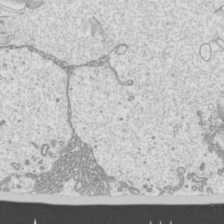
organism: Mouse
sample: Cilia; mouse epididymis